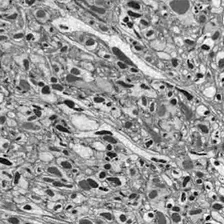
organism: Drosophila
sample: Optic lobe